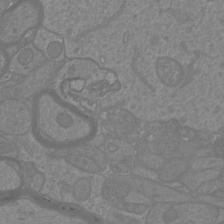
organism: Mouse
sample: Cortical neurons